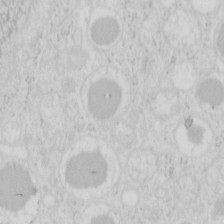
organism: Mouse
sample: Pancreas